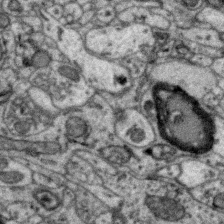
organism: Zebra finch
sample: Brain